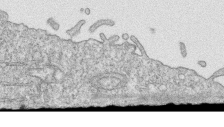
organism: Human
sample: HeLa cell HIV synapse